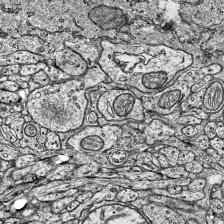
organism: Mouse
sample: Visual Cortex